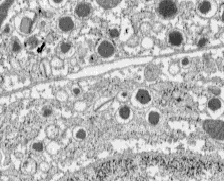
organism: C57BL Mouse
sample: Pancreatic islet